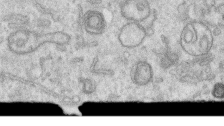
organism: Human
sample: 1205lu cells